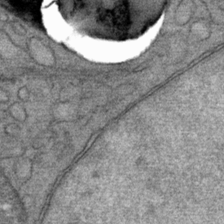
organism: Mouse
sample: Mouse Salivary gland